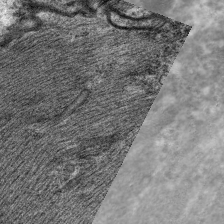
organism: C. elegans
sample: Pharynx